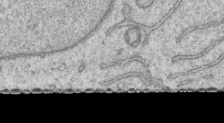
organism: Human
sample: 1205lu cells